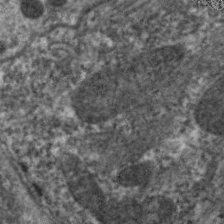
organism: C. elegans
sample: Pharynx